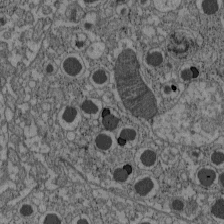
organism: C57BL Mouse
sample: Pancreatic islet